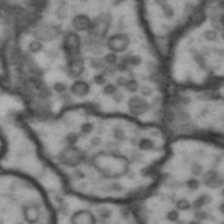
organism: Drosophila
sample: Brain